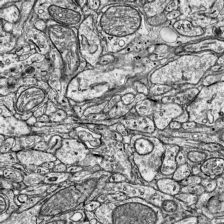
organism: Mouse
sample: Visual Cortex